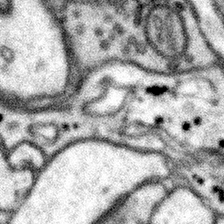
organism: Mouse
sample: Somatosensory cortex neuropil